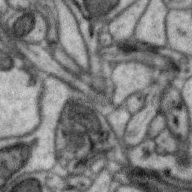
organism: Zebra finch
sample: Brain